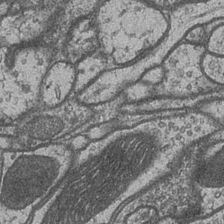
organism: Drosophila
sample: Optic medulla